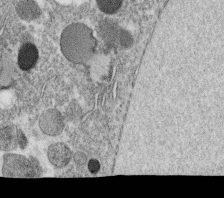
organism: C. elegans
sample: C. elegans oocyte; sperm cells